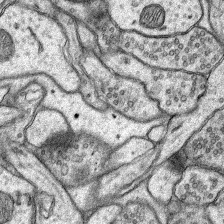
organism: Rat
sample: Hippocampus